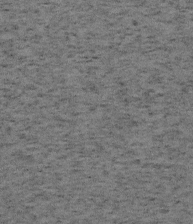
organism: Mouse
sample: OT-I killer T cells with ID8 ovarian cancer cells